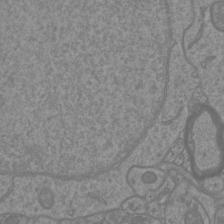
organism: Mouse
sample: Cortical neurons